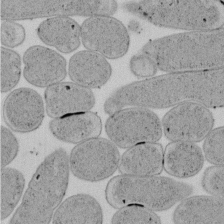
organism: E. coli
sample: Bacterial nucleoid